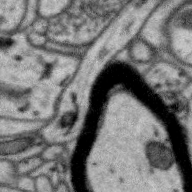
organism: Zebra finch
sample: Brain